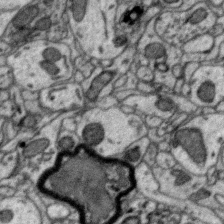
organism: Zebra finch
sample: Brain